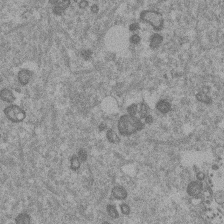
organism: Mouse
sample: Dividing mouse embryo 1 cell stage